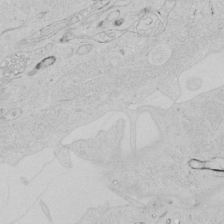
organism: Human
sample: Mitochondria in HCT116 cells